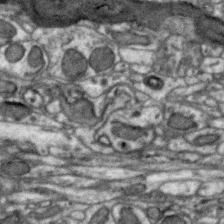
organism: Zebra finch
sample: Brain